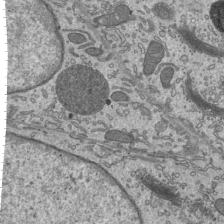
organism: Mouse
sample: Mouse epididymis efferent ductule cilia